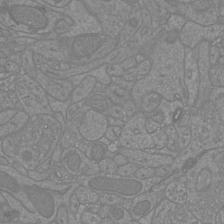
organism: Mouse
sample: Cortical neurons